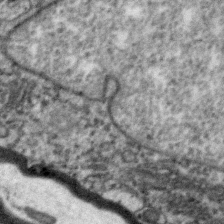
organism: Zebra finch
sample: Brain